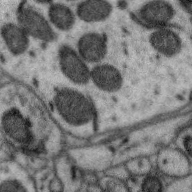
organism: Zebra finch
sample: Brain